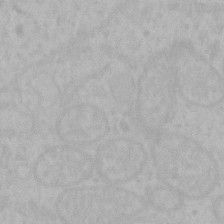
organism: Mouse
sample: Choroid plexus